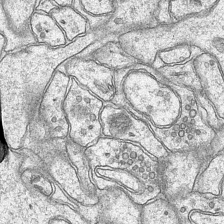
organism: Mouse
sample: CA1 Hippocampus